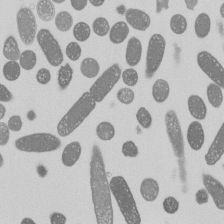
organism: E. coli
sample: Bacterial nucleoid